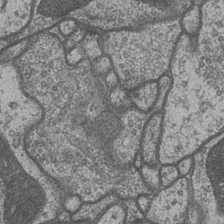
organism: Drosophila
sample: Optic medulla